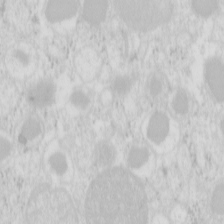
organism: Mouse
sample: Pancreas